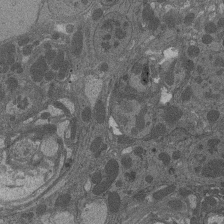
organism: Drosophila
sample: Antenna